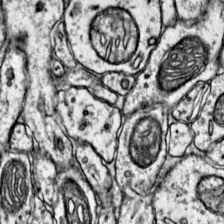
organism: Mouse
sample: Primary visual cortex